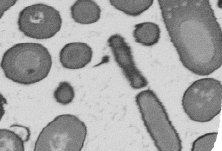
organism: B. subtilis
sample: Bacterial spore